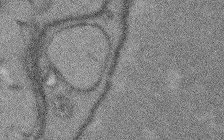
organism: Arabidopsis thaliana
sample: Root tip